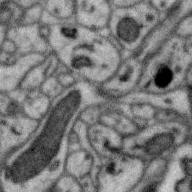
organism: Zebra finch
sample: Brain